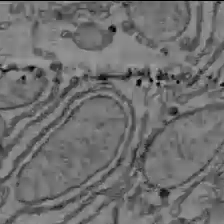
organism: C57BL Mouse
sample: Liver